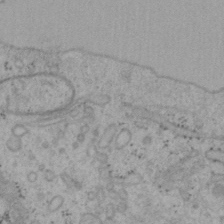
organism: Human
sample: HeLa cells